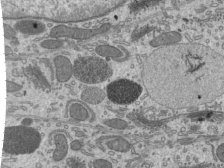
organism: Mouse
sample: Mouse epididymis efferent ductule cilia